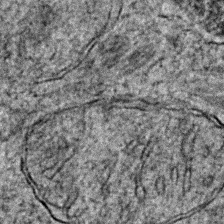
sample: Trachea